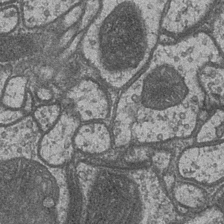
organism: Drosophila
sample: Optic medulla